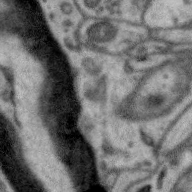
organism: Zebra finch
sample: Brain